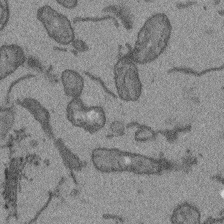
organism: Arabidopsis thaliana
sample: Root tip